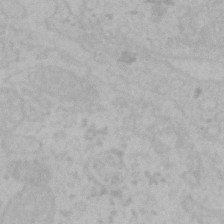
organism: Mouse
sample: Choroid plexus